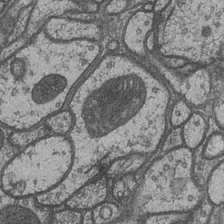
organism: Drosophila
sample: Optic medulla